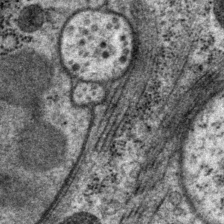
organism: P. pacificus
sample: Pharynx